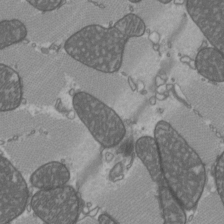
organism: C57BL Mouse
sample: Heart